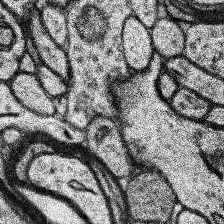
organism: Human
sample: Temporal Lobe